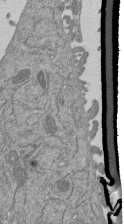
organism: Mouse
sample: ED-1 cell nuclei; centrioles